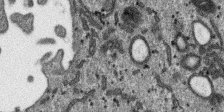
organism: Human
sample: Lung epithelial cells infected with SARS-CoV-2